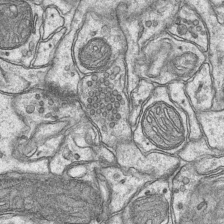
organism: Mouse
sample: CA1 Hippocampus